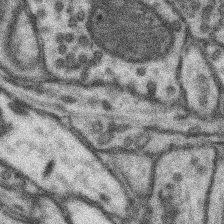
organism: Mouse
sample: Somatosensory cortex neuropil